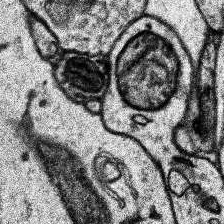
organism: Human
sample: Temporal Lobe